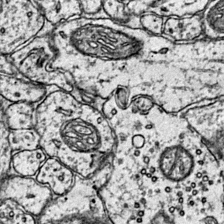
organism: Mouse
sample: Primary visual cortex